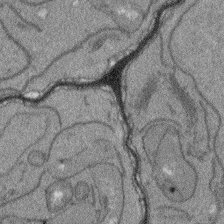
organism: Arabidopsis thaliana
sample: Root tip